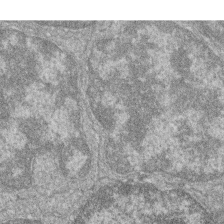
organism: Zebrafish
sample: Cilia; retinal pigment epithelium